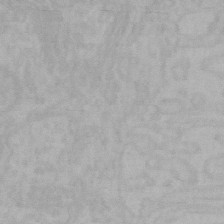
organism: Mouse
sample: Choroid plexus